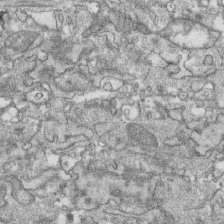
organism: Human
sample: CRL-1474